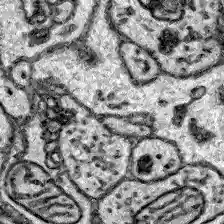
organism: Zebrafish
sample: Brain